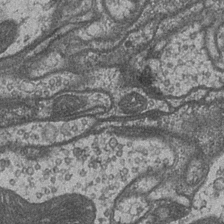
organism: Drosophila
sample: Optic medulla